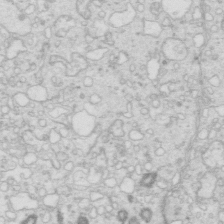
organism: Mouse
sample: Multiciliated cells